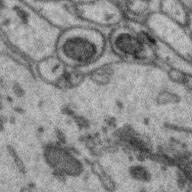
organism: Zebra finch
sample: Brain